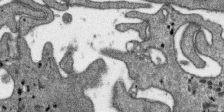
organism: Human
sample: Lung epithelial cells, uninfected (mock) control